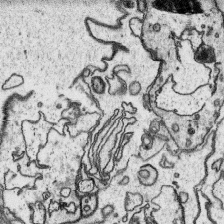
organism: Platynereis dumerilii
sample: Parapodia